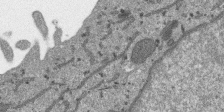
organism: Human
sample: Lung epithelial cells infected with SARS-CoV-2